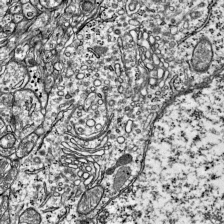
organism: Mouse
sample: Visual Cortex